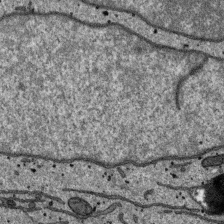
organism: Human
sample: Lung epithelial cells, uninfected (mock) control